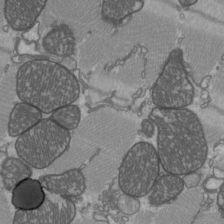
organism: C57BL Mouse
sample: Heart